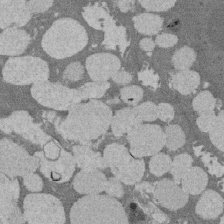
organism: Rat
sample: Salivary granule